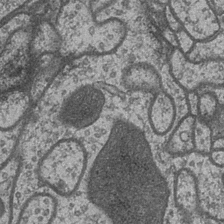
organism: Drosophila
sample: Optic medulla